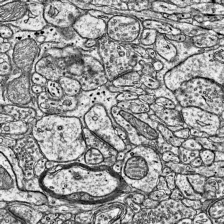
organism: Mouse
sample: Visual Cortex